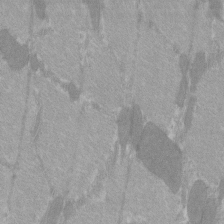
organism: C57BL Mouse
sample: Tibialis anterior muscle cell